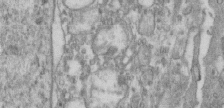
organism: Human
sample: Centriole in RPE cells